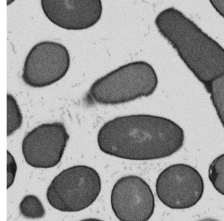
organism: B. subtilis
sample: Bacterial spore